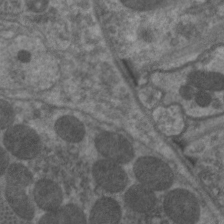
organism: C. elegans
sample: Pharynx